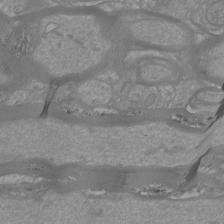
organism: Mouse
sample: Cortical neurons